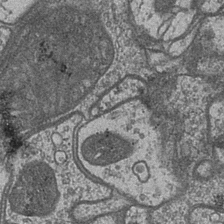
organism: Drosophila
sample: Optic medulla